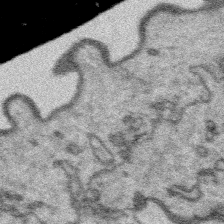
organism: Platynereis dumerilii